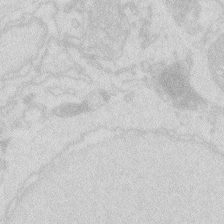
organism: Zebrafish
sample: Macrophage